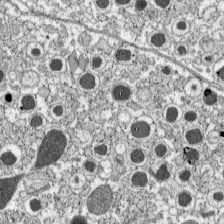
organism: C57BL Mouse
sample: Pancreatic islet